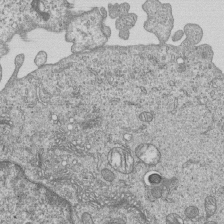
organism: Human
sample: MDA-MB-231 cells